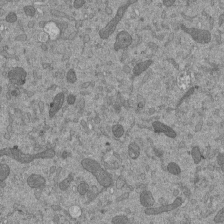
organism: Mouse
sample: ED-1 cell nuclei; centrioles